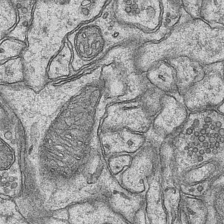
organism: Mouse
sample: CA1 Hippocampus